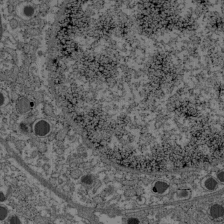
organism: C57BL Mouse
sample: Pancreatic islet